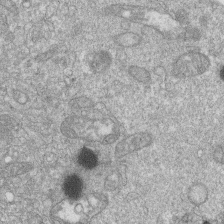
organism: Human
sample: HeLa cell HIV synapse